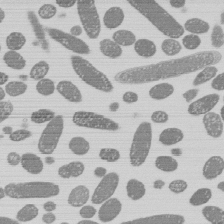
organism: E. coli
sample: Bacterial nucleoid